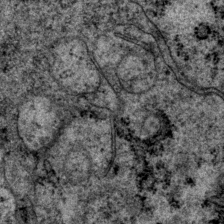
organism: P. pacificus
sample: Pharynx